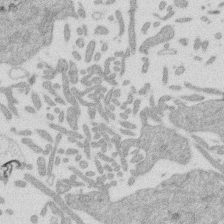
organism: Mouse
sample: Dividing mouse embryo 1 cell stage